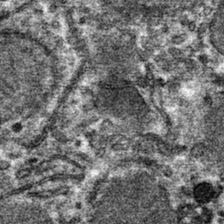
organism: Mouse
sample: Mouse hepatocytes